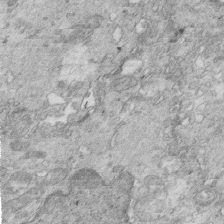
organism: Mouse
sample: Multiciliated cells